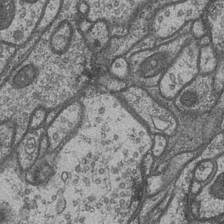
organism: Drosophila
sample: Optic medulla